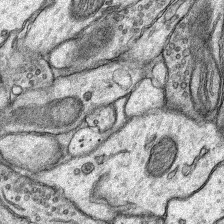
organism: Rat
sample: Hippocampus